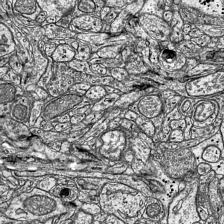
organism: Mouse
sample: Visual Cortex